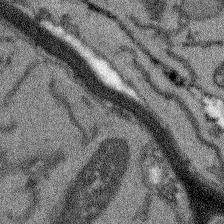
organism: Arabidopsis thaliana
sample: Root tip